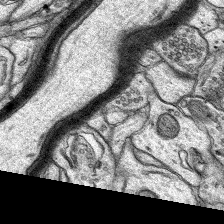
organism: Rat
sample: Hippocampus